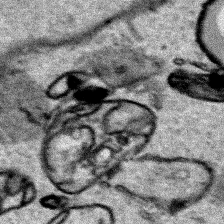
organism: Human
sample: Mitochondria in HCT116 cells